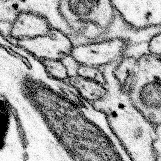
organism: Mouse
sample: Somatosensory cortex neuropil